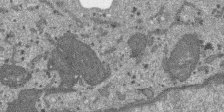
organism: Human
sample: Lung epithelial cells infected with SARS-CoV-2